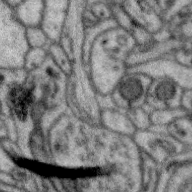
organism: Zebra finch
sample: Brain